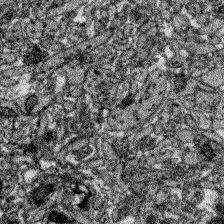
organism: Zebrafish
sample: Larval olfactory bulb